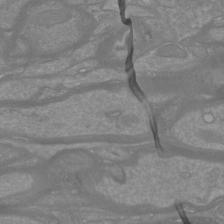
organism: Mouse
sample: Cortical neurons